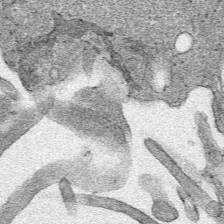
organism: Human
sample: Mitochondria in HCT116 cells